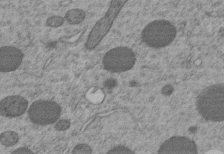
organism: C. elegans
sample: C. elegans embryo early stage